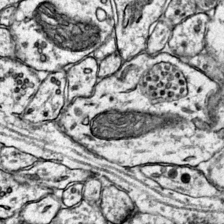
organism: Mouse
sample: Primary visual cortex